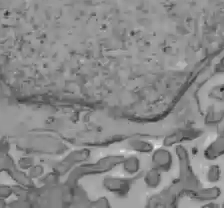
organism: C57BL Mouse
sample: Liver